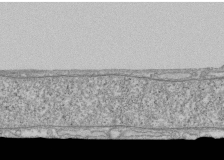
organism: Human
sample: Fibroblast cells